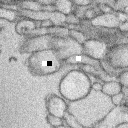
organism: Rabbit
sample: Retina